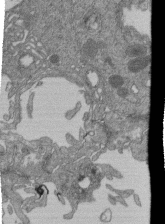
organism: Human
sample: Retinal organoid Rod and Cone cells